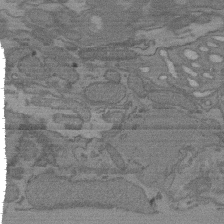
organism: C. elegans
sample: AFD neurons C. elegans